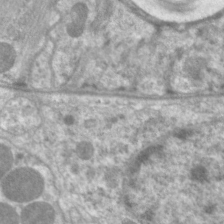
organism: C. elegans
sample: Pharynx